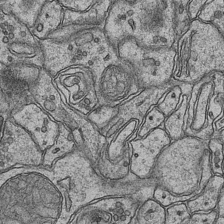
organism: Mouse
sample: CA1 Hippocampus